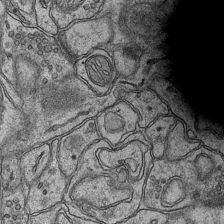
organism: Mouse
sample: CA1 Hippocampus